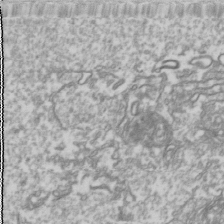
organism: Drosophila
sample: Cell division; meiosis; drosophila spermatocytes